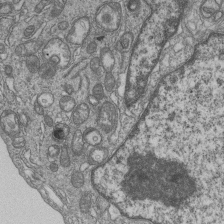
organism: Human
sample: MDA-MB-231 cells